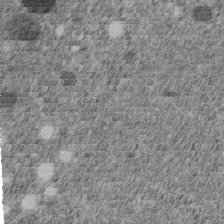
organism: C. elegans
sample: C. elegans embryo early stage